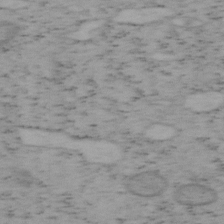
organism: Mouse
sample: OT-I killer T cells with ID8 ovarian cancer cells